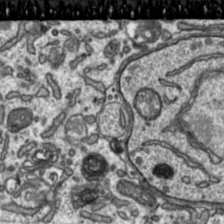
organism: Toxoplasma gondii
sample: Parasites in a vacuole inside a host cell